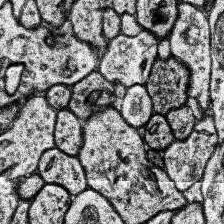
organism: Human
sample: Temporal Lobe